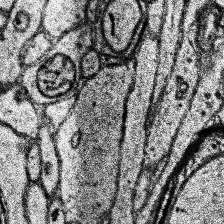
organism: Human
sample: Temporal Lobe